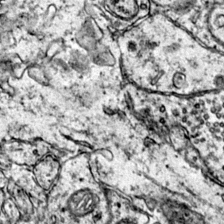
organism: Mouse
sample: Primary visual cortex